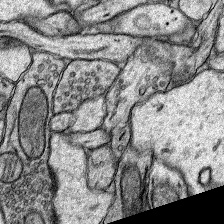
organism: Rat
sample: Hippocampus